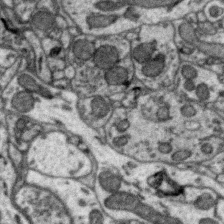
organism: Zebra finch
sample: Brain